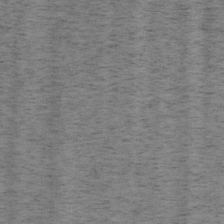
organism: Mouse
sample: OT-I killer T cells with ID8 ovarian cancer cells